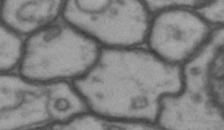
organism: Drosophila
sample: Brain